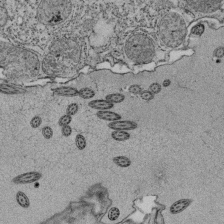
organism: Tetrahymena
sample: Cilia in tetrahymena